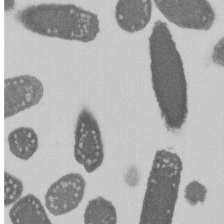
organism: E. coli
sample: Bacterial nucleoid